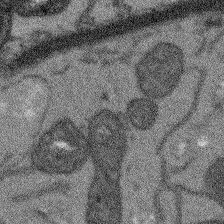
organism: Arabidopsis thaliana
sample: Root tip